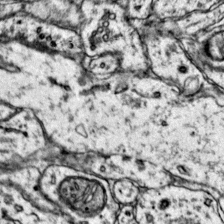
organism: Mouse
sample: Primary visual cortex